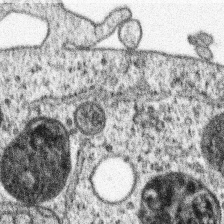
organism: Human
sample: HeLa cells